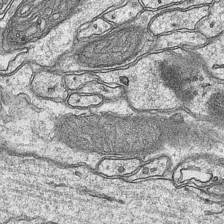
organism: Mouse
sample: CA1 Hippocampus